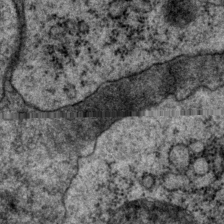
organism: P. pacificus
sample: Pharynx